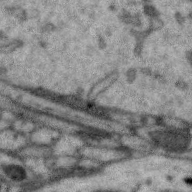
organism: Zebra finch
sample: Brain